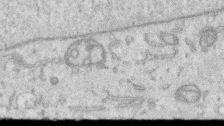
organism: Human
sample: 1205lu cells